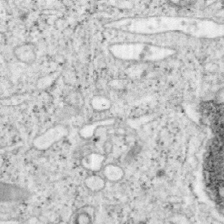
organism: Mouse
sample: OT-I killer T cells with ID8 ovarian cancer cells